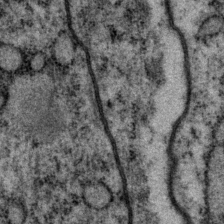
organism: P. pacificus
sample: Pharynx